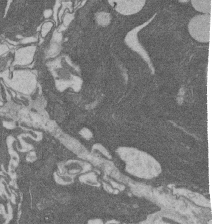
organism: Rat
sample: Salivary granule